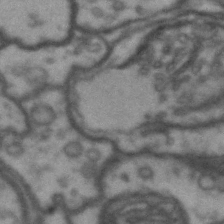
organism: Drosophila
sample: Brain